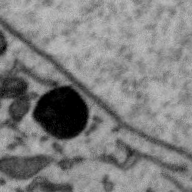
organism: Zebra finch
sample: Brain